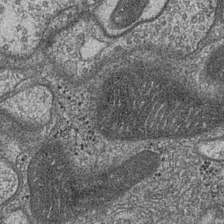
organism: Drosophila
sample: Optic medulla